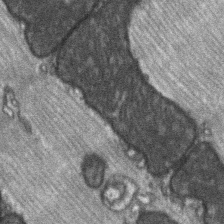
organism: C57BL Mouse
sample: Soleus